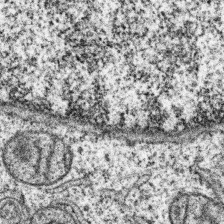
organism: Human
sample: HeLa cells